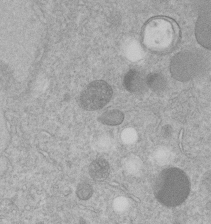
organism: C. elegans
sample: C. elegans embryo early stage